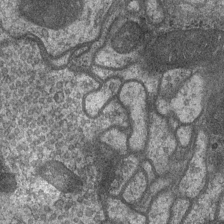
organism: Drosophila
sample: Optic medulla